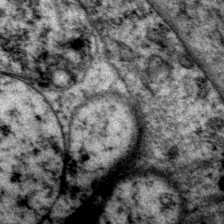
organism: P. pacificus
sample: Pharynx